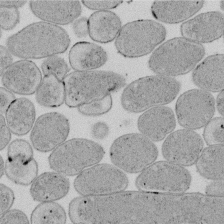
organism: E. coli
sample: Bacterial nucleoid